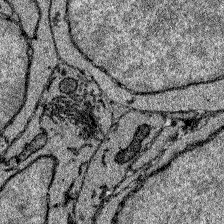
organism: Zebrafish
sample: Larval olfactory bulb